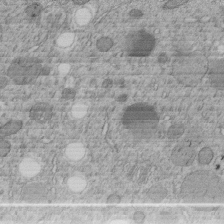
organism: C. elegans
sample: C. elegans embryo early stage